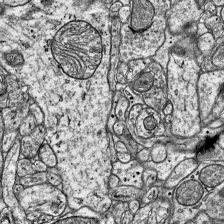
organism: Mouse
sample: Visual Cortex